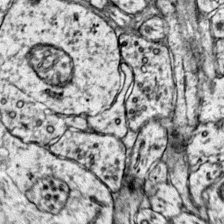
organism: Mouse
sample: Primary visual cortex